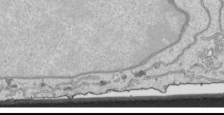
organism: Human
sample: Mitochondria in HCT116 cells